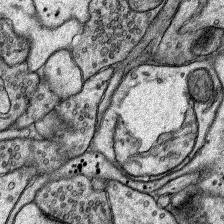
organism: Rat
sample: Hippocampus